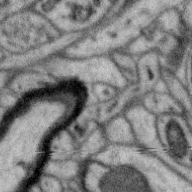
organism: Zebra finch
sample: Brain